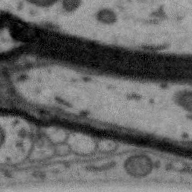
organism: Zebra finch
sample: Brain